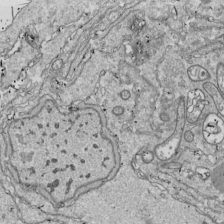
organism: Drosophila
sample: Cell division; meiosis; drosophila spermatocytes